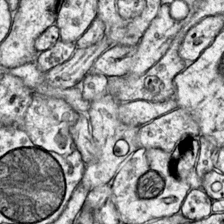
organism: Mouse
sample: Primary visual cortex